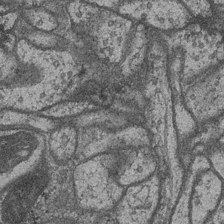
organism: Drosophila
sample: Optic medulla